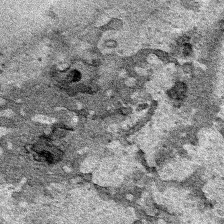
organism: Human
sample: Mitochondria in HCT116 cells